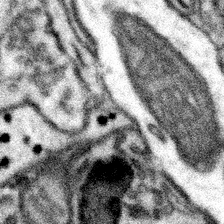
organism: Mouse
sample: Somatosensory cortex neuropil